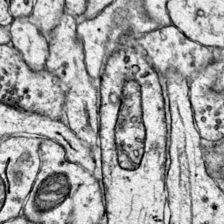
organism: Mouse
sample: Primary visual cortex